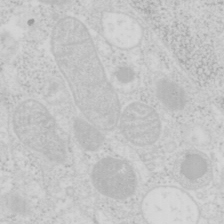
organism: Mouse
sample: Pancreas